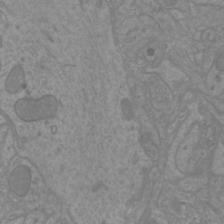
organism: Mouse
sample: Cortical neurons